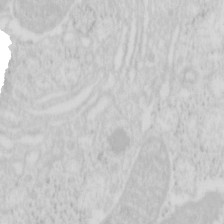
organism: Mouse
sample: Pancreas